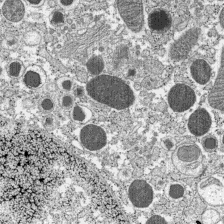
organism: C57BL Mouse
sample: Pancreatic islet